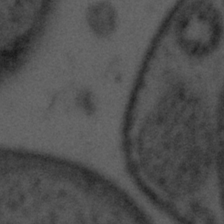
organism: Tuwongella immobilis